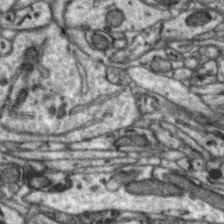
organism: Zebra finch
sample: Brain